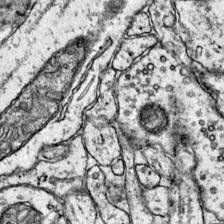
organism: Mouse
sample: Primary visual cortex